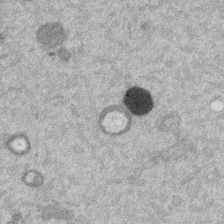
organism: Mouse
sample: Dividing mouse embryo 1 cell stage